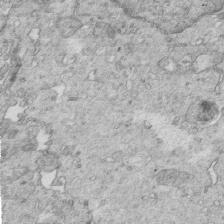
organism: Mouse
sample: Multiciliated cells